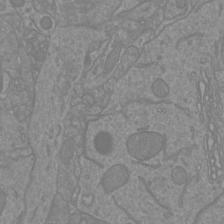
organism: Mouse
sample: Cortical neurons